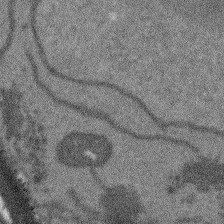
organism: Arabidopsis thaliana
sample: Root tip